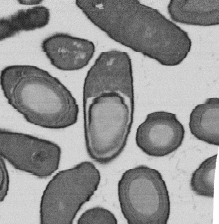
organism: B. subtilis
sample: Bacterial spore